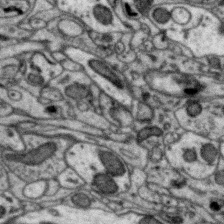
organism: Zebra finch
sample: Brain